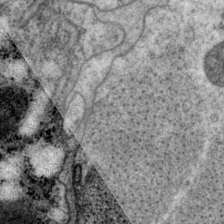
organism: P. pacificus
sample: Pharynx